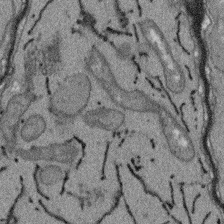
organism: Arabidopsis thaliana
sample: Root tip